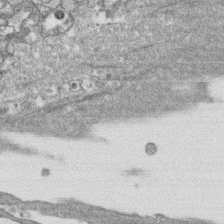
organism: Human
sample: CRL-1474